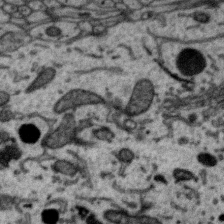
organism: Zebra finch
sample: Brain